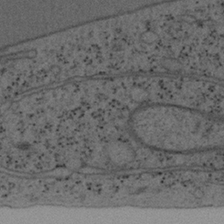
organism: Human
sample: HeLa cells